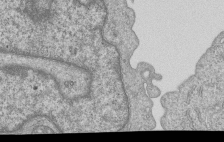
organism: Human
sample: MDA-MB-231 cells